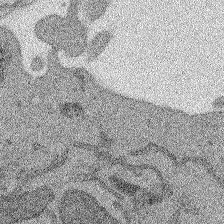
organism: Human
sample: HeLa cells